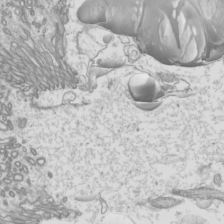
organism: Mouse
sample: Cilia; mouse epididymis